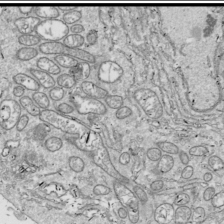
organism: Drosophila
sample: Cell division; meiosis; drosophila spermatocytes